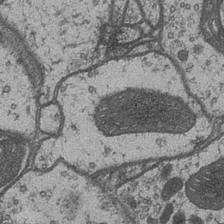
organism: Drosophila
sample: Optic medulla